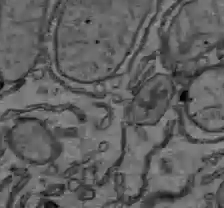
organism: C57BL Mouse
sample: Liver